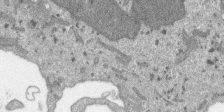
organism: Human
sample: Lung epithelial cells infected with SARS-CoV-2